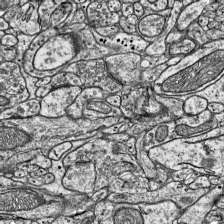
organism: Mouse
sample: Visual Cortex